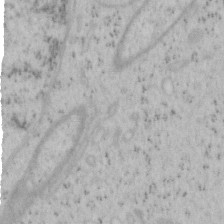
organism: Human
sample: HeLa cells